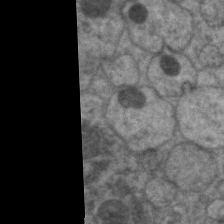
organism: C. elegans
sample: Pharynx